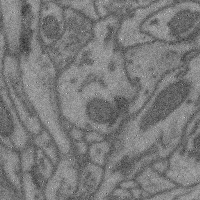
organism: Mouse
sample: Cerebral cortex